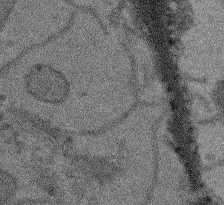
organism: Arabidopsis thaliana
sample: Root tip